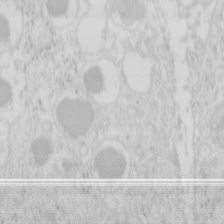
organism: Mouse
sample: Pancreas